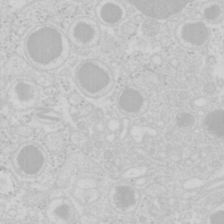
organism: Mouse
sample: Pancreas